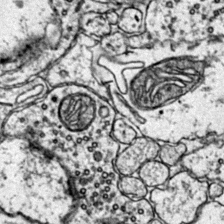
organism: Mouse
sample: Primary visual cortex